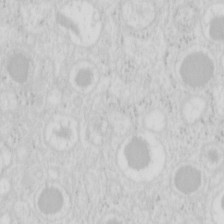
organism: Mouse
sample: Pancreas